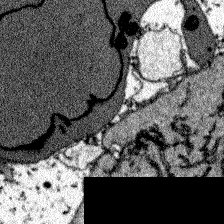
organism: Zebrafish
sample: Larval olfactory bulb